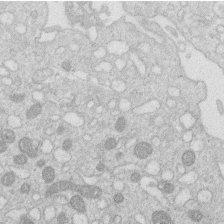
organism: Human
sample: Macrophage cells